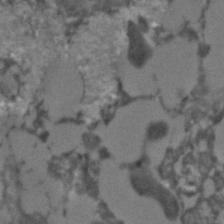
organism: C. elegans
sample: C. elegans embryo